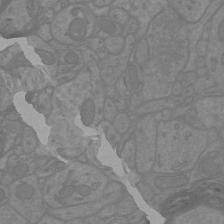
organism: Mouse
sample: Cortical neurons